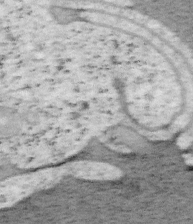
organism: Mouse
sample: OT-I killer T cells with ID8 ovarian cancer cells